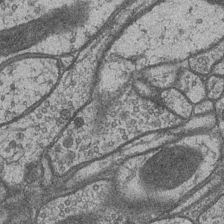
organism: Drosophila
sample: Optic medulla